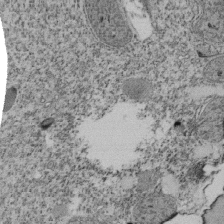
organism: Tetrahymena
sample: Cilia in tetrahymena